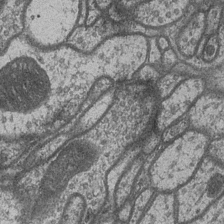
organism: Drosophila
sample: Optic medulla